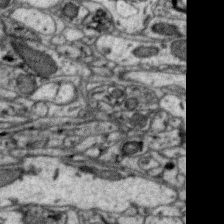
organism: Zebra finch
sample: Brain